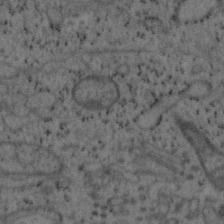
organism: Human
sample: HeLa cells